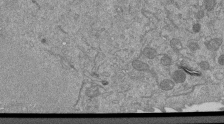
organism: Mouse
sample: ED-1 cell nuclei; centrioles